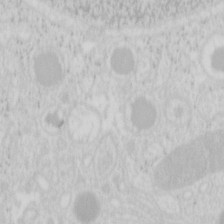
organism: Mouse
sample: Pancreas